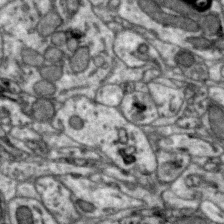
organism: Zebra finch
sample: Brain